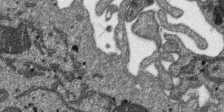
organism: Human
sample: Lung epithelial cells infected with SARS-CoV-2